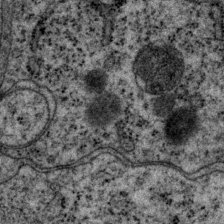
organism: P. pacificus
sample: Pharynx